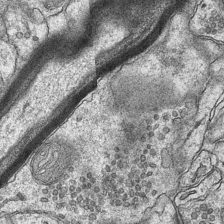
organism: Mouse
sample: CA1 Hippocampus